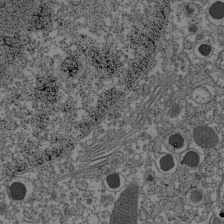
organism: C57BL Mouse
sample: Pancreatic islet